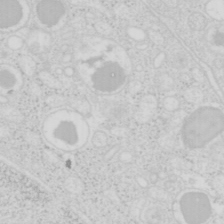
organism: Mouse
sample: Pancreas